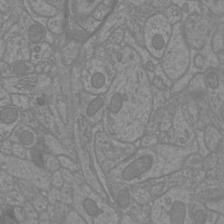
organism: Mouse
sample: Cortical neurons